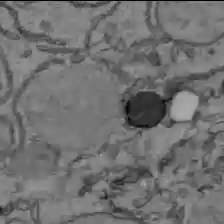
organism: C57BL Mouse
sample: Liver